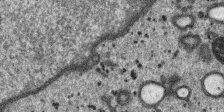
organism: Human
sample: Lung epithelial cells infected with SARS-CoV-2